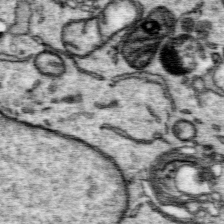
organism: Human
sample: HeLa cells